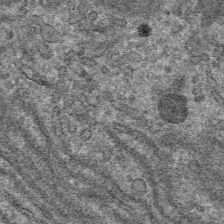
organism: Mouse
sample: Mouse hepatocytes